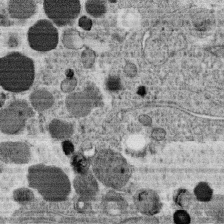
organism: C. elegans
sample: C. elegans oocyte; sperm cells